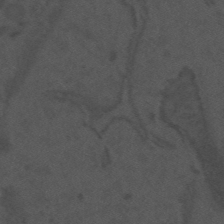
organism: Mouse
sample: Suprachiasmatic nucleus